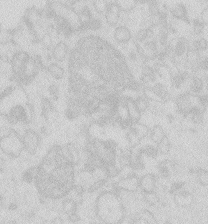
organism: Zebrafish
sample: Macrophage